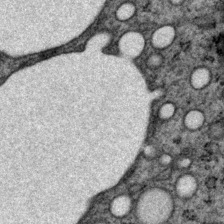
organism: P. pacificus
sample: Pharynx